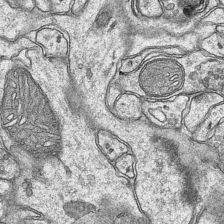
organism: Mouse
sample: CA1 Hippocampus